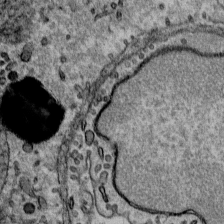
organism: Mouse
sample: Mouse Salivary gland